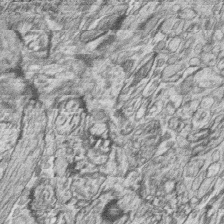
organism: Zebrafish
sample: synaptic ribbons in rod cells and cone cells